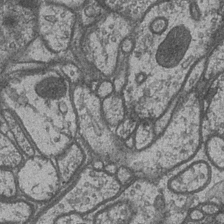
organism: Drosophila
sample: Optic medulla